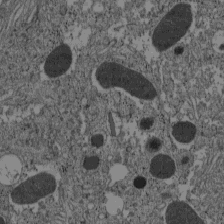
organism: C57BL Mouse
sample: Pancreatic islet